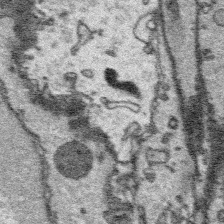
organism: Platynereis dumerilii